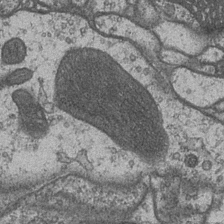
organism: Drosophila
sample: Optic medulla